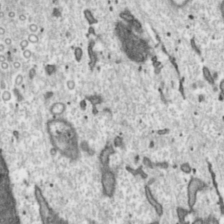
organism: Toxoplasma gondii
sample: Parasites in a vacuole inside a host cell